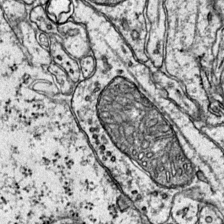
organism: Mouse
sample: Primary visual cortex